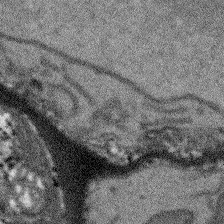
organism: Arabidopsis thaliana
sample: Root tip